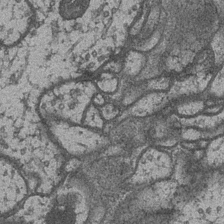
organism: Drosophila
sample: Optic medulla